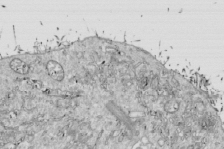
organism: Drosophila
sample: Cell division; meiosis; drosophila spermatocytes